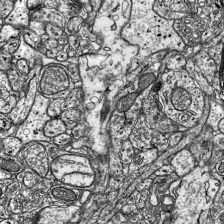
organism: Mouse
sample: Visual Cortex